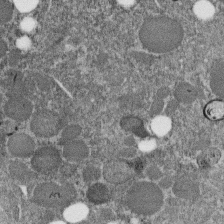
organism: C. elegans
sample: C. elegans embryo early stage